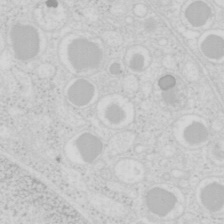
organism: Mouse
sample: Pancreas